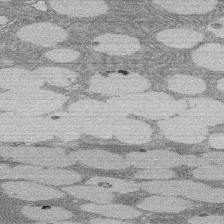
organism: Rat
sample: Salivary granule